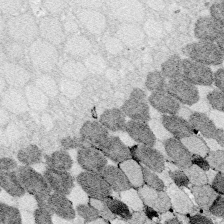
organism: Zebrafish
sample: Whole-Brain